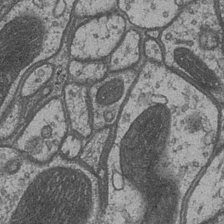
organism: Drosophila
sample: Optic medulla